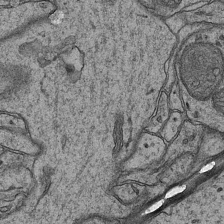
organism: Mouse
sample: CA1 Hippocampus